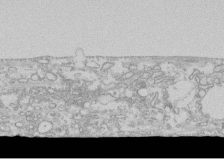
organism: Human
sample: CRL-1474